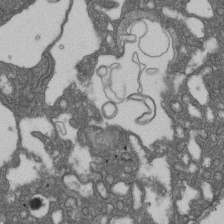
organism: Drosophila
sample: Nephrocyte